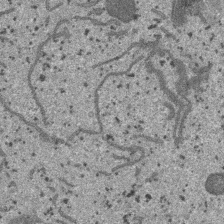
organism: Human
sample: Lung epithelial cells infected with SARS-CoV-2